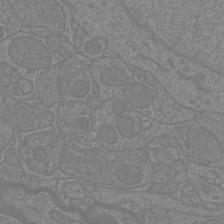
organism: Mouse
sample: Cortical neurons